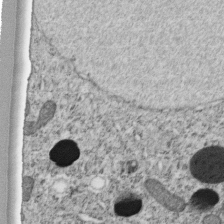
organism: C. elegans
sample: C. elegans embryo early stage